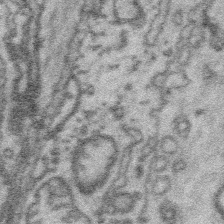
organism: Platynereis dumerilii